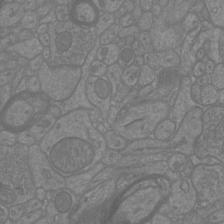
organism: Mouse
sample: Cortical neurons